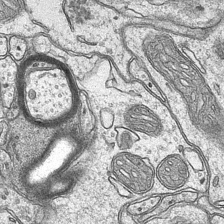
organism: Mouse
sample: CA1 Hippocampus